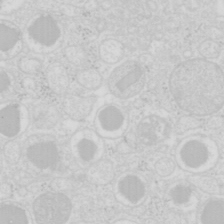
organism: Mouse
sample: Pancreas